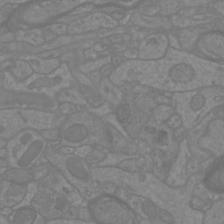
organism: Mouse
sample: Cortical neurons